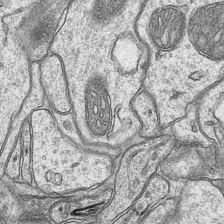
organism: Mouse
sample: CA1 Hippocampus